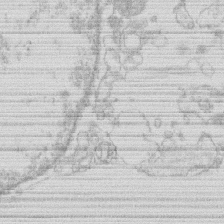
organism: Human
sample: Macrophage cells